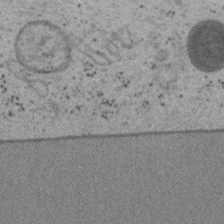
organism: Human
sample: HeLa cells